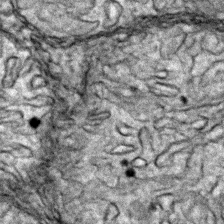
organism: Zebrafish